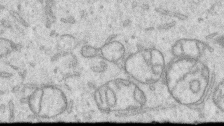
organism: Human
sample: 1205lu cells